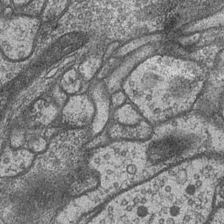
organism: Drosophila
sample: Optic medulla